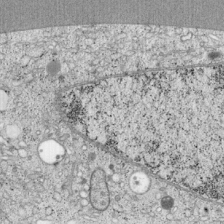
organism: African green monkey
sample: COS-7 cells